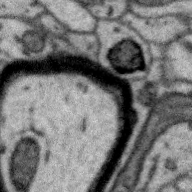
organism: Zebra finch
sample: Brain